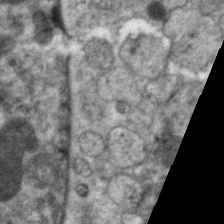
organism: C. elegans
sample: Pharynx